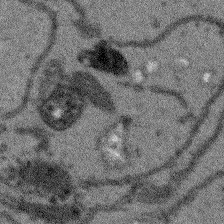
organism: Arabidopsis thaliana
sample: Root tip